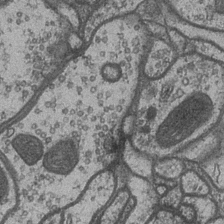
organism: Drosophila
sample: Optic medulla